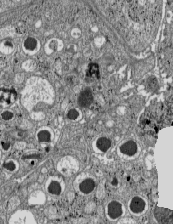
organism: C57BL Mouse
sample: Pancreatic islet